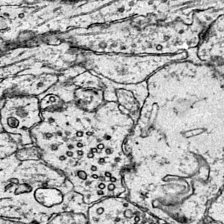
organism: Mouse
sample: Primary visual cortex